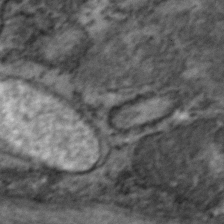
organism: Zebrafish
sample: Zebrafish embryo